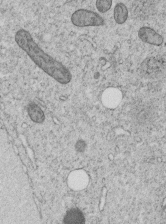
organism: C. elegans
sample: C. elegans embryo early stage